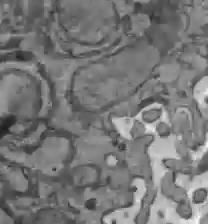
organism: C57BL Mouse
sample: Liver